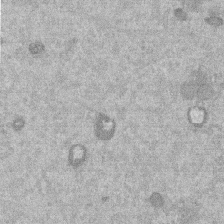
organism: Mouse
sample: Dividing mouse embryo 1 cell stage